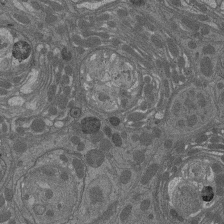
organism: Drosophila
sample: Antenna